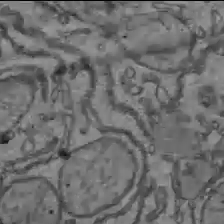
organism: C57BL Mouse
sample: Liver